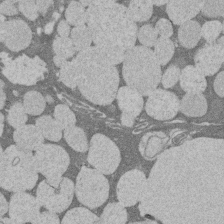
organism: Rat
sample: Salivary granule